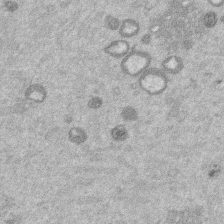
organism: Mouse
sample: Dividing mouse embryo 1 cell stage